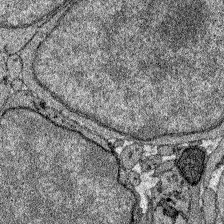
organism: Zebrafish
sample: Larval olfactory bulb